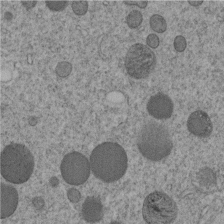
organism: C. elegans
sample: C. elegans embryo early stage